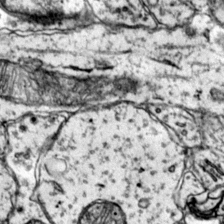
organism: Mouse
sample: Primary visual cortex